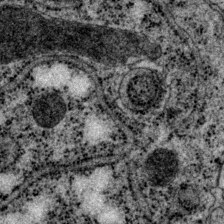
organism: P. pacificus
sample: Pharynx